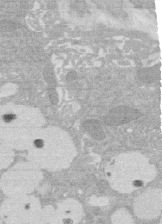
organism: Rat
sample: Salivary granule